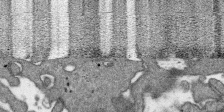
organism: Human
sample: Lung epithelial cells, uninfected (mock) control